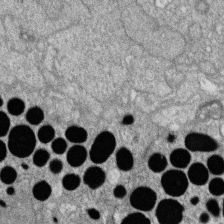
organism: Zebrafish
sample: Cilia; retinal pigment epithelium